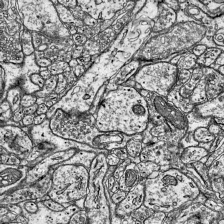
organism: Mouse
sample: Visual Cortex